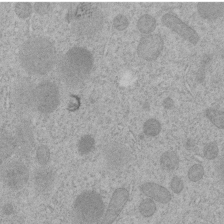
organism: C. elegans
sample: C. elegans embryo early stage